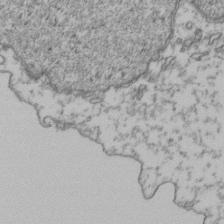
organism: Human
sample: Activated Jurkat CD4+ T cells